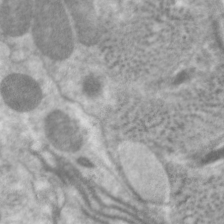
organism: C. elegans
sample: Pharynx